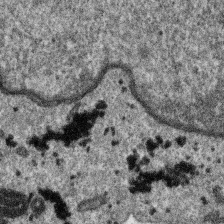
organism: Human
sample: Lung epithelial cells infected with SARS-CoV-2